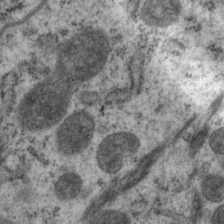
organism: P. pacificus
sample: Pharynx